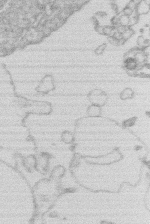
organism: Human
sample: Macrophage cells